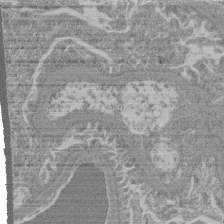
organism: Mouse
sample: Glomerulus